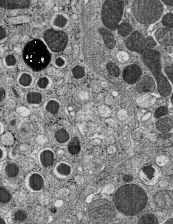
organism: C57BL Mouse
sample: Pancreatic islet